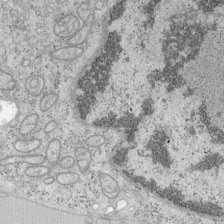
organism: Mouse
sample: OT-I killer T cells with ID8 ovarian cancer cells